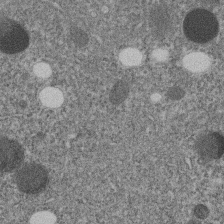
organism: C. elegans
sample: C. elegans embryo early stage